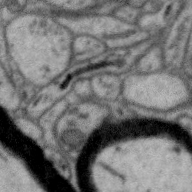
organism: Zebra finch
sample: Brain